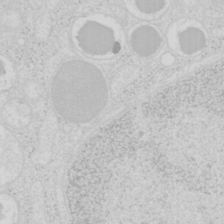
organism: Mouse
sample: Pancreas